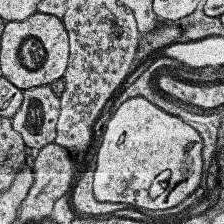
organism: Human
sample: Temporal Lobe